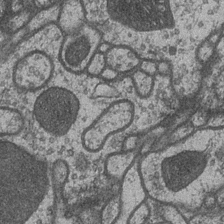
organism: Drosophila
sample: Optic medulla